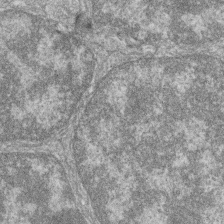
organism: Zebrafish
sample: Cilia; retinal pigment epithelium